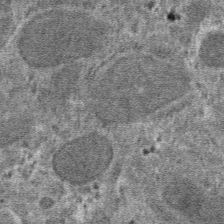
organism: Mouse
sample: Mouse hepatocytes